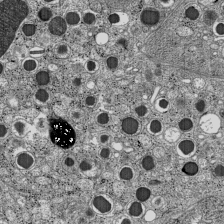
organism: C57BL Mouse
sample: Pancreatic islet